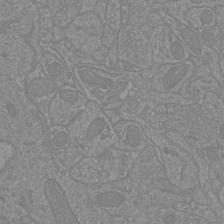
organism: Mouse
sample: Cortical neurons